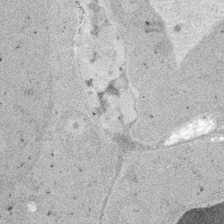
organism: Embia sp.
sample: Silk gland